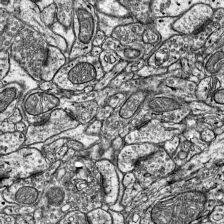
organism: Mouse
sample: Visual Cortex